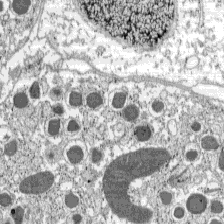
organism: C57BL Mouse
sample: Pancreatic islet